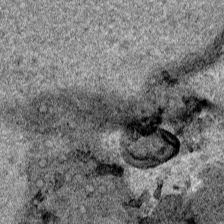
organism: Human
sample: Mitochondria in HCT116 cells